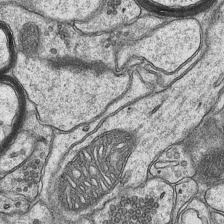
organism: Mouse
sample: CA1 Hippocampus